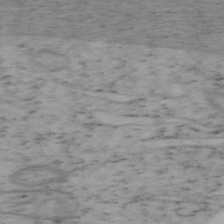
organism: Mouse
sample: OT-I killer T cells with ID8 ovarian cancer cells